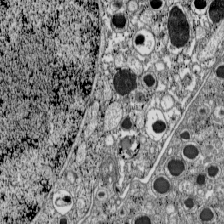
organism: C57BL Mouse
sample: Pancreatic islet